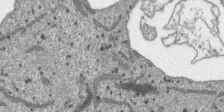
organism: Human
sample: Lung epithelial cells infected with SARS-CoV-2